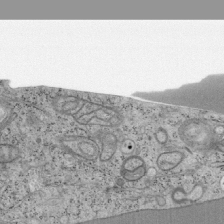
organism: Human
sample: HeLa cells